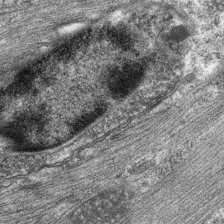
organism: C. elegans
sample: Pharynx